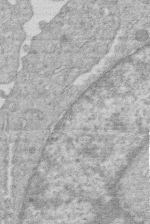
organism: Human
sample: Macrophage cells